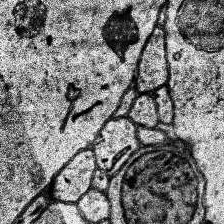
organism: Human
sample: Temporal Lobe